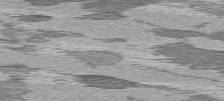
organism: C57BL Mouse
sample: Heart